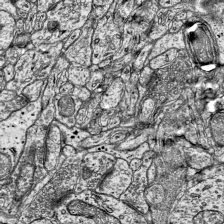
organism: Mouse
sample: Visual Cortex